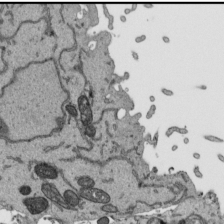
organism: Human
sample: Mitochondria in HCT116 cells